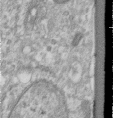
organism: Human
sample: Centriole in RPE cells